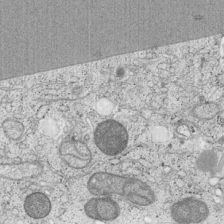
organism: African green monkey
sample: COS-7 cells